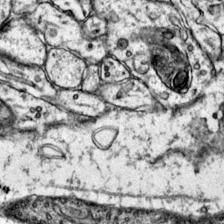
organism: Mouse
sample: Primary visual cortex